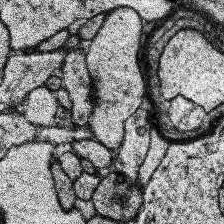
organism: Human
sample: Temporal Lobe